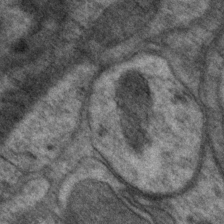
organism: P. pacificus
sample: Pharynx